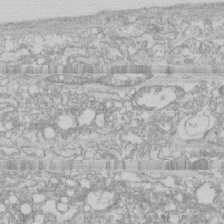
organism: Human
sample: CRL-1474